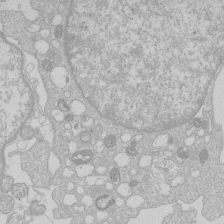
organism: Human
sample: Macrophage cells